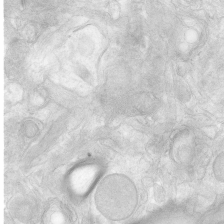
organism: Human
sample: Neocortex